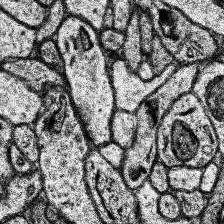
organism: Human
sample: Temporal Lobe